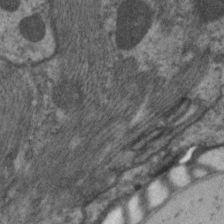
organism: C. elegans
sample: Pharynx